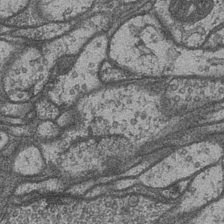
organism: Drosophila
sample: Optic medulla